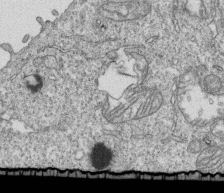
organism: Human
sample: HeLa cell HIV synapse